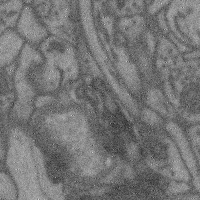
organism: Mouse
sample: Cerebral cortex